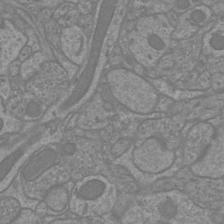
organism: Mouse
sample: Cortical neurons